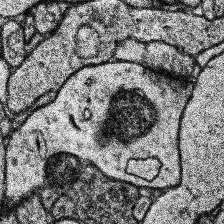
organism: Human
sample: Temporal Lobe